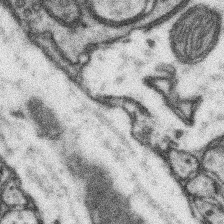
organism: Mouse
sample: Somatosensory cortex neuropil